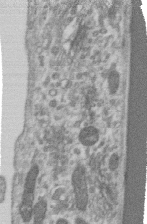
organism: Human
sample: Centriole in RPE cells